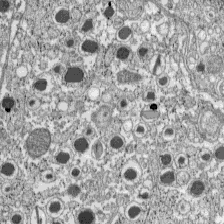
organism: C57BL Mouse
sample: Pancreatic islet